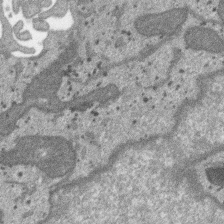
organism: Human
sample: Lung epithelial cells infected with SARS-CoV-2